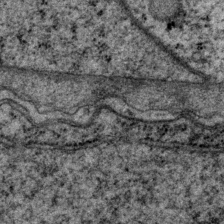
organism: P. pacificus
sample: Pharynx